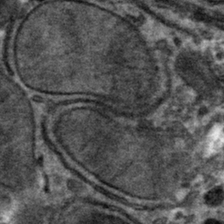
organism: Mouse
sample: Mouse hepatocytes